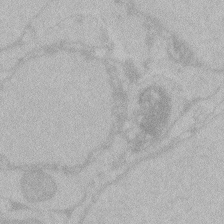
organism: Zebrafish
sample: Macrophage infected with Toxoplasma gondii